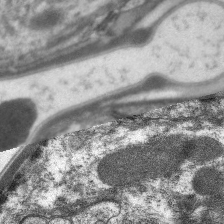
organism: C. elegans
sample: Pharynx